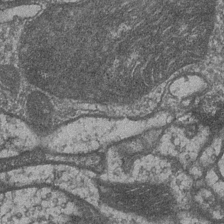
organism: Drosophila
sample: Optic medulla